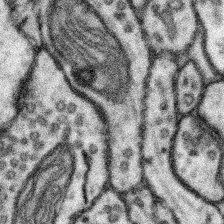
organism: Mouse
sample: Somatosensory cortex neuropil